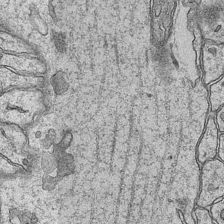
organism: Mouse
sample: CA1 Hippocampus